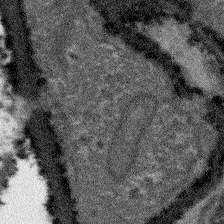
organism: Arabidopsis thaliana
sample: Root tip